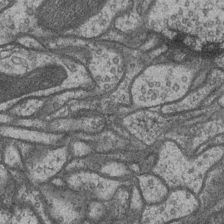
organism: Drosophila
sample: Optic medulla